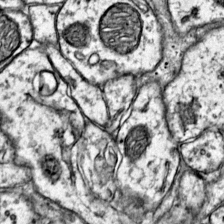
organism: Mouse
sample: Primary visual cortex